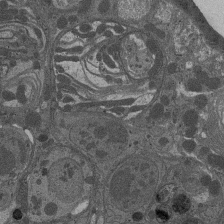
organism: Drosophila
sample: Antenna